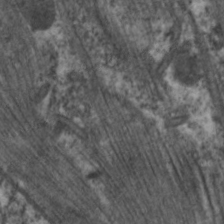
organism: C. elegans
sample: Pharynx